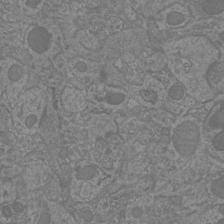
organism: Mouse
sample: Cortical neurons